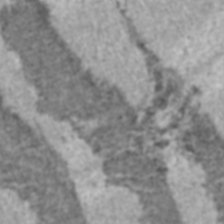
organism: C57BL Mouse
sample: Heart